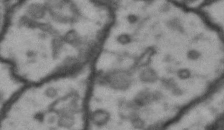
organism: Drosophila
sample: Brain